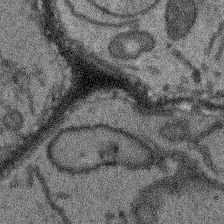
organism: Arabidopsis thaliana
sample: Root tip